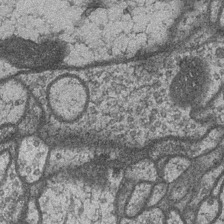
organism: Drosophila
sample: Optic medulla